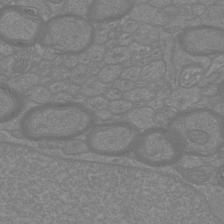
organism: Mouse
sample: Cortical neurons